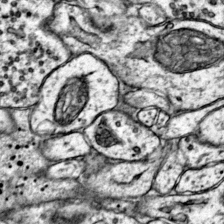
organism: Mouse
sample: Primary visual cortex